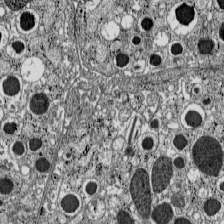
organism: C57BL Mouse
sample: Pancreatic islet